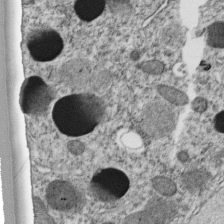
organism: C. elegans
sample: C. elegans embryo early stage